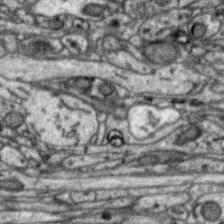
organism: Zebra finch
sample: Brain